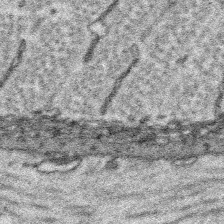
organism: Platynereis dumerilii